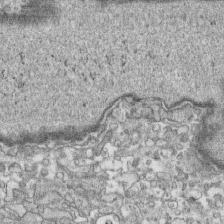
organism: Human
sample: CRL-1474